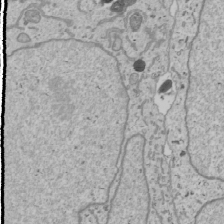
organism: Human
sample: Mitochondria in U2OS cells